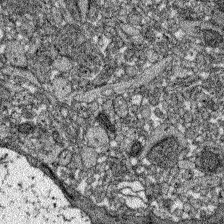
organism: Zebrafish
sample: Larval olfactory bulb